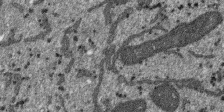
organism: Human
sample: Lung epithelial cells infected with SARS-CoV-2